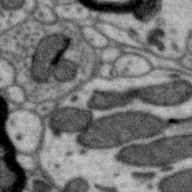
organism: Zebra finch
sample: Brain